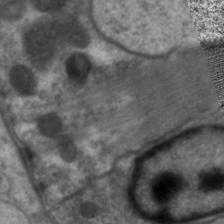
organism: C. elegans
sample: Pharynx